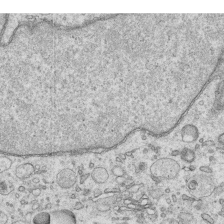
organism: Human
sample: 1205lu cells